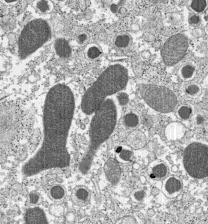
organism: C57BL Mouse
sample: Pancreatic islet